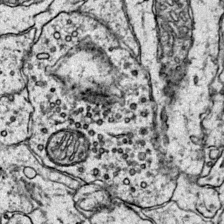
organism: Mouse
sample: Primary visual cortex